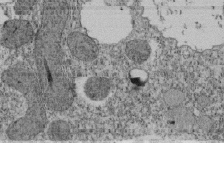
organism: Tetrahymena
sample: Cilia in tetrahymena